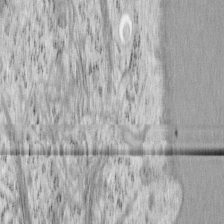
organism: Human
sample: HeLa cells